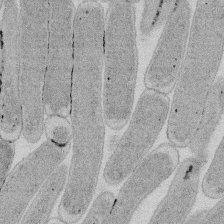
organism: E. coli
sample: Bacterial nucleoid